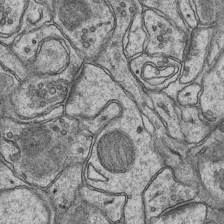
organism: Mouse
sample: CA1 Hippocampus